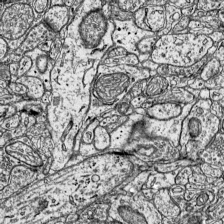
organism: Mouse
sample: Visual Cortex